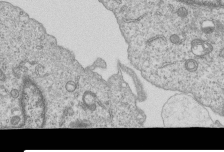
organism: Human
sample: MDA-MB-231 cells